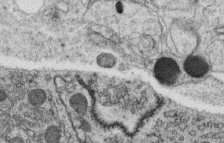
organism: C. elegans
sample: C. elegans oocyte; sperm cells